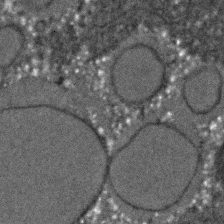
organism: C. elegans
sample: C. elegans embryo